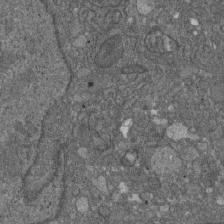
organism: Drosophila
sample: Nephrocyte